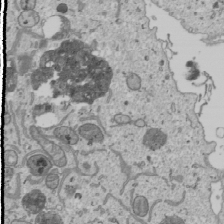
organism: Human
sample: Mitochondria in U2OS cells